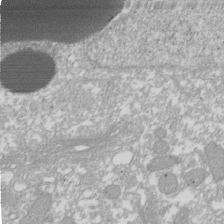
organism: Xenopus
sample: Cilia; centrioles in frog embryo cells